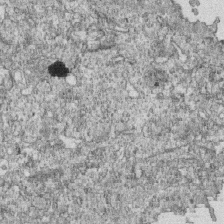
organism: Human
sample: HeLa cell HIV synapse